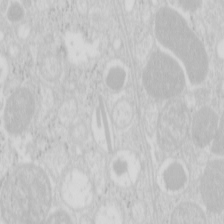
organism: Mouse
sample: Pancreas